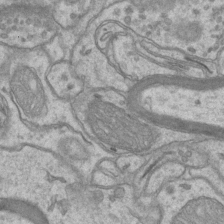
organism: Mouse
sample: CA1 Hippocampus